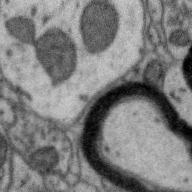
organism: Zebra finch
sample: Brain